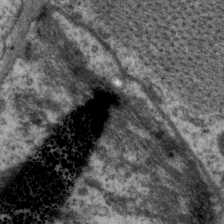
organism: P. pacificus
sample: Pharynx